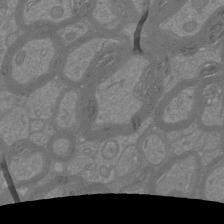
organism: Mouse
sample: Cortical neurons